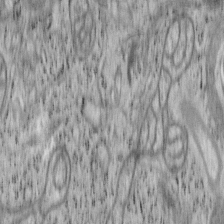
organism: Human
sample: HeLa cells